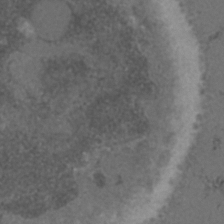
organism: C. elegans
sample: C. elegans embryo